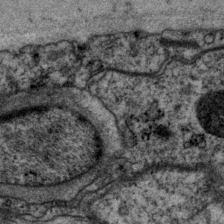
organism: P. pacificus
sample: Pharynx